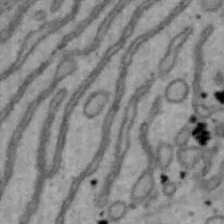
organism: Mouse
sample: Liver